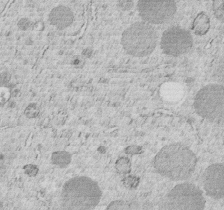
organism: C. elegans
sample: C. elegans embryo early stage